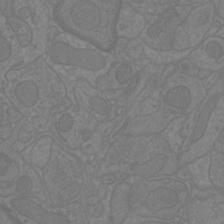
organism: Mouse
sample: Cortical neurons